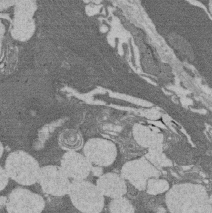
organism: Rat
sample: Salivary granule